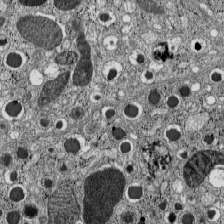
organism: C57BL Mouse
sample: Pancreatic islet